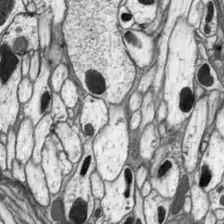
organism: Drosophila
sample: Optic lobe